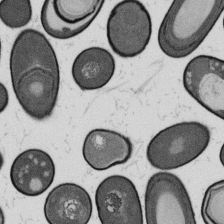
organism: B. subtilis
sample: Bacterial spore